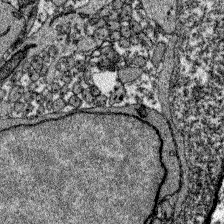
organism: Zebrafish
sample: Larval olfactory bulb